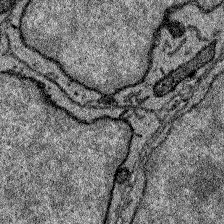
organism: Zebrafish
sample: Larval olfactory bulb